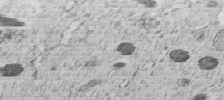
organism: C. elegans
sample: C. elegans embryo early stage